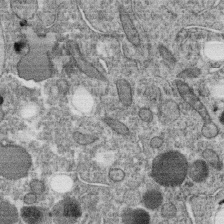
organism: C. elegans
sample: C. elegans oocyte; sperm cells